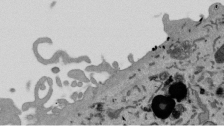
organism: Mouse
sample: ED-1 cell nuclei; centrioles